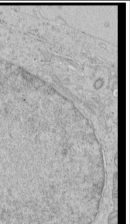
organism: Human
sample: Mitochondria in HCT116 cells